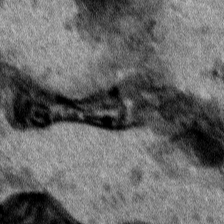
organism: Human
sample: Mitochondria in HCT116 cells